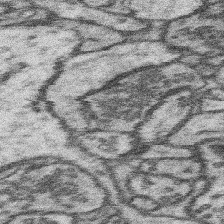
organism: Mouse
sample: Somatosensory cortex neuropil